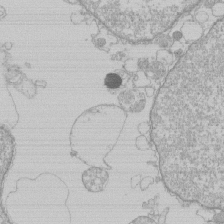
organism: Human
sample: Macrophage cells